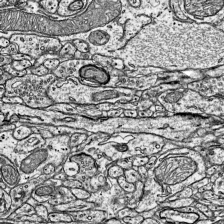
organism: Mouse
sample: Visual Cortex